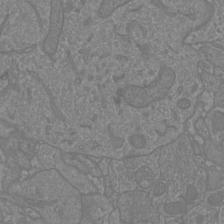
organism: Mouse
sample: Cortical neurons